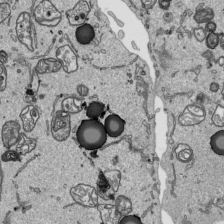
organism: Human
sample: Mitochondria in HCT116 cells